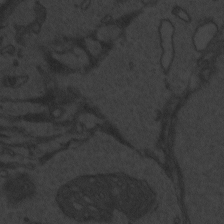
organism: Zebrafish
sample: Macrophage infected with Toxoplasma gondii